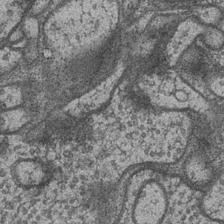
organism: Drosophila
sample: Optic medulla